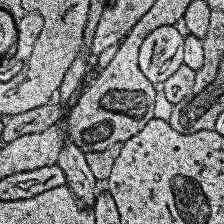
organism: Human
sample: Temporal Lobe